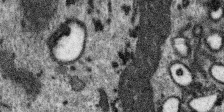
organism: Human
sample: Lung epithelial cells infected with SARS-CoV-2